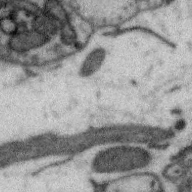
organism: Zebra finch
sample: Brain